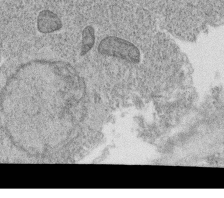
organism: C. elegans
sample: C. elegans oocyte; sperm cells